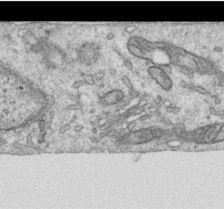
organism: Human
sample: Centriole in RPE cells